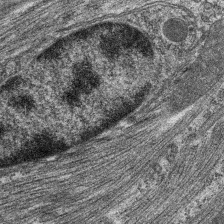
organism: C. elegans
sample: Pharynx